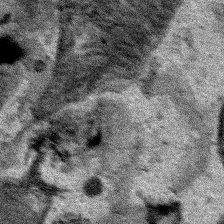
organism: Human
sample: Mitochondria in HCT116 cells